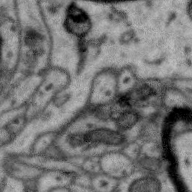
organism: Zebra finch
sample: Brain